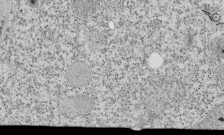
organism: Tetrahymena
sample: Cilia in tetrahymena